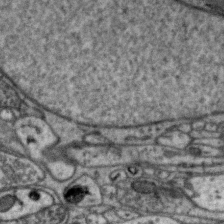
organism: Zebra finch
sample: Brain